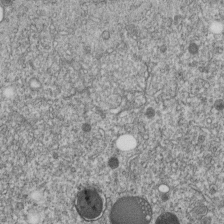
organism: C. elegans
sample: C. elegans embryo early stage